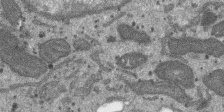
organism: Human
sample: Lung epithelial cells infected with SARS-CoV-2